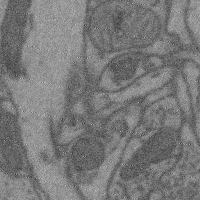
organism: Mouse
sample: Cerebral cortex